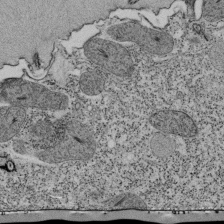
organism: Tetrahymena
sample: Cilia in tetrahymena